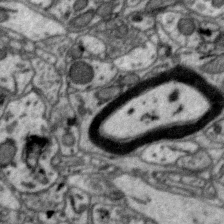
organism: Zebra finch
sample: Brain